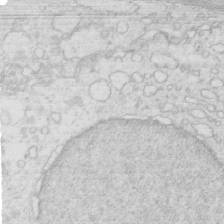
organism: Mouse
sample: Multiciliated cells